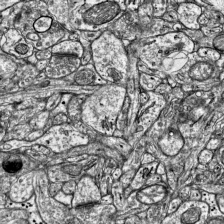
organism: Mouse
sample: Visual Cortex